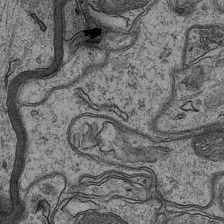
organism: Mouse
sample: CA1 Hippocampus